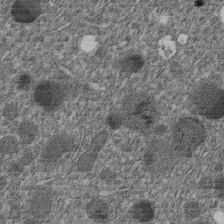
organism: C. elegans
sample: C. elegans embryo early stage